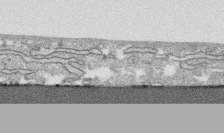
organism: Human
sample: CRL-1474